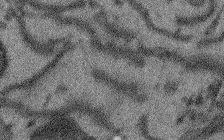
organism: Arabidopsis thaliana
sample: Root tip